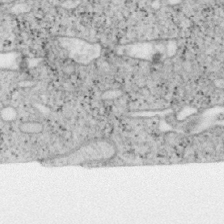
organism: Mouse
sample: OT-I killer T cells with ID8 ovarian cancer cells